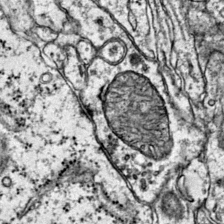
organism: Mouse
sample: Primary visual cortex